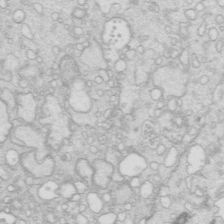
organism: Mouse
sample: Multiciliated cells